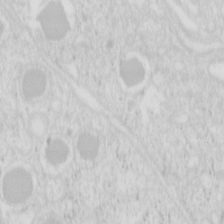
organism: Mouse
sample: Pancreas